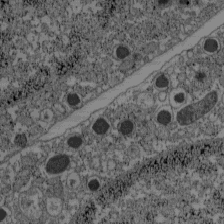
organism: C57BL Mouse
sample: Pancreatic islet